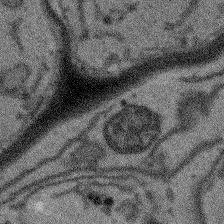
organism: Arabidopsis thaliana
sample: Root tip